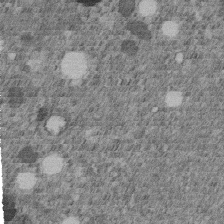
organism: C. elegans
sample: C. elegans embryo early stage